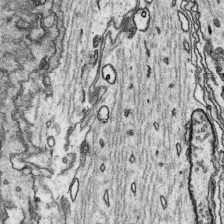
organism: Platynereis dumerilii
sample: Parapodia